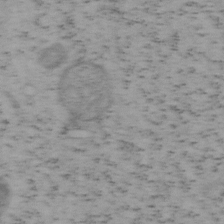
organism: Mouse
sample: OT-I killer T cells with ID8 ovarian cancer cells